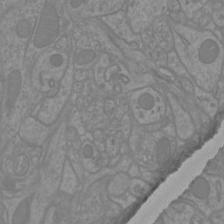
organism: Mouse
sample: Cortical neurons